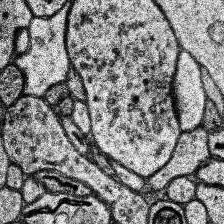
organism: Human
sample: Temporal Lobe